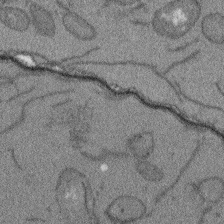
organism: Arabidopsis thaliana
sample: Root tip